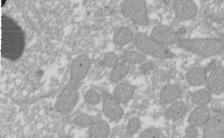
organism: Xenopus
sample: Cilia; centrioles in frog embryo cells